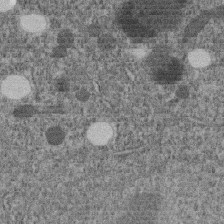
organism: C. elegans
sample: C. elegans embryo early stage